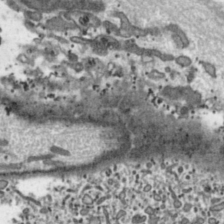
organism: Toxoplasma gondii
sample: Parasites in a vacuole inside a host cell